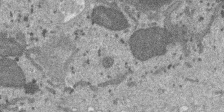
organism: Human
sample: Lung epithelial cells infected with SARS-CoV-2